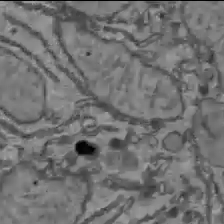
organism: C57BL Mouse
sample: Liver